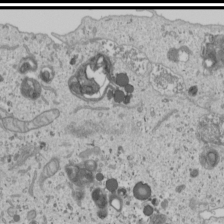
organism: Human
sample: Mitochondria in U2OS cells